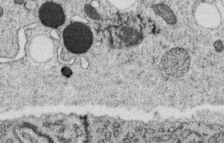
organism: C. elegans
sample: C. elegans oocyte; sperm cells